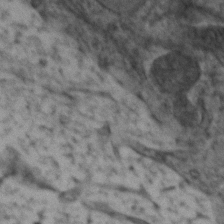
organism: Zebrafish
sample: Zebrafish embryo